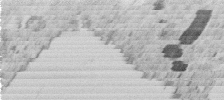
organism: C. elegans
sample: C. elegans embryo early stage